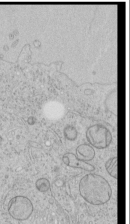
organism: Human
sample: Mitochondria in HCT116 cells